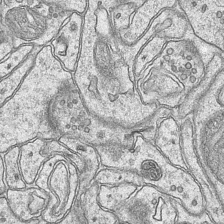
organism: Mouse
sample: CA1 Hippocampus